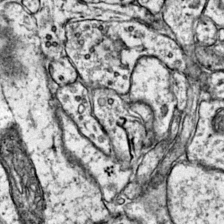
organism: Mouse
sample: Primary visual cortex